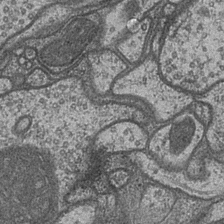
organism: Drosophila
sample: Optic medulla